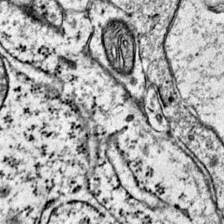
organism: Mouse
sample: Primary visual cortex